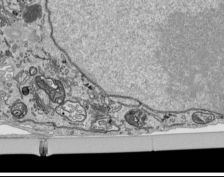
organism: Human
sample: Mitochondria in HCT116 cells